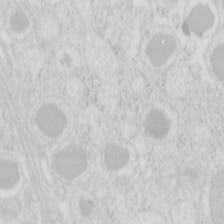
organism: Mouse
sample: Pancreas